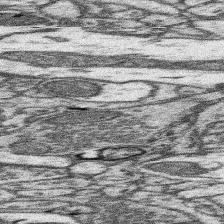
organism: Mouse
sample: Somatosensory cortex neuropil